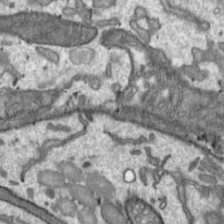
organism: Toxoplasma gondii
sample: Parasites in a vacuole inside a host cell